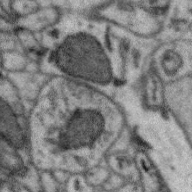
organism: Zebra finch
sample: Brain